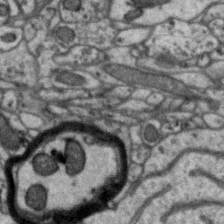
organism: Zebra finch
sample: Brain